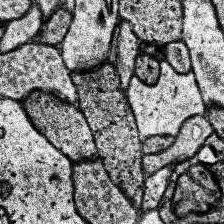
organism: Human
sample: Temporal Lobe